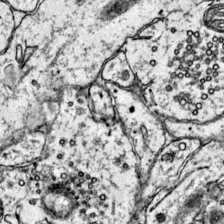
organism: Mouse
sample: Primary visual cortex